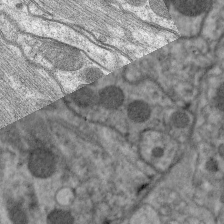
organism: C. elegans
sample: Pharynx